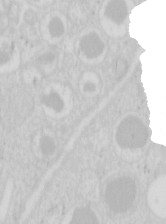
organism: Mouse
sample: Pancreas